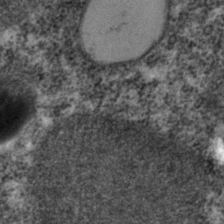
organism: C. elegans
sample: C. elegans embryo